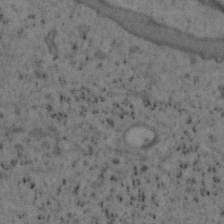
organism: Human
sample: HeLa cells